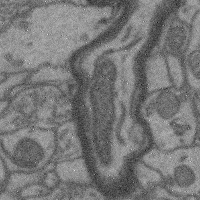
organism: Mouse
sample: Cerebral cortex